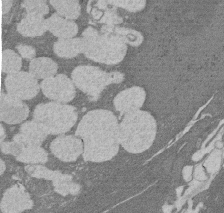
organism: Rat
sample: Salivary granule